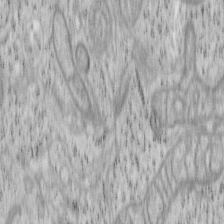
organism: Human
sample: HeLa cells